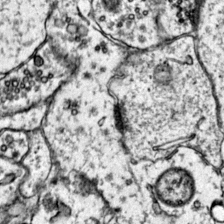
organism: Mouse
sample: Primary visual cortex